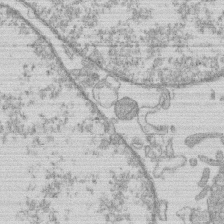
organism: Human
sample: Macrophage cells